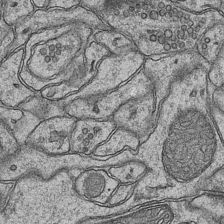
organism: Mouse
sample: CA1 Hippocampus